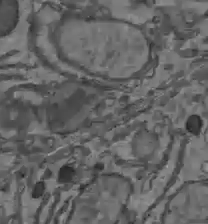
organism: C57BL Mouse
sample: Liver